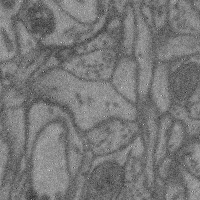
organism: Mouse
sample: Cerebral cortex